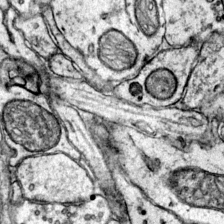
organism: Mouse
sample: Primary visual cortex